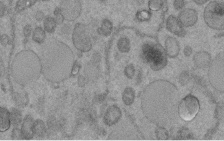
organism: C. elegans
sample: C. elegans embryo early stage